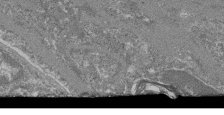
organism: Mouse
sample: Glomerulus